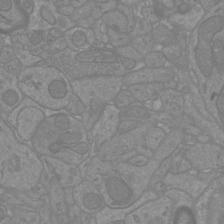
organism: Mouse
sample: Cortical neurons